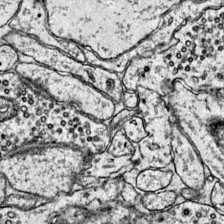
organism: Mouse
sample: Primary visual cortex